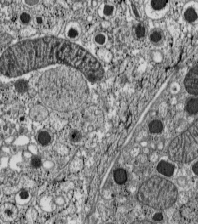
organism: C57BL Mouse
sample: Pancreatic islet